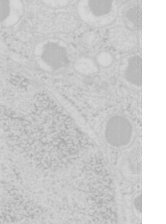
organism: Mouse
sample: Pancreas